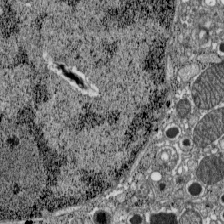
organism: C57BL Mouse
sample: Pancreatic islet